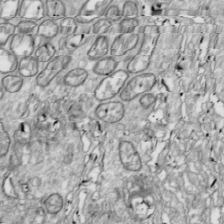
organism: Drosophila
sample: Cell division; meiosis; drosophila spermatocytes